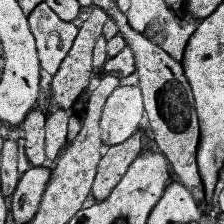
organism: Human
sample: Temporal Lobe